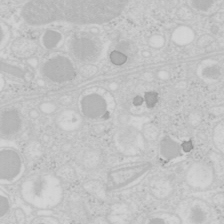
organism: Mouse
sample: Pancreas